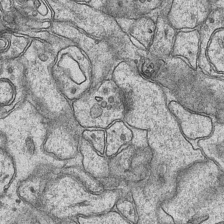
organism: Mouse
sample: CA1 Hippocampus